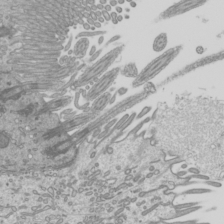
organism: Mouse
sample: Cilia; mouse epididymis